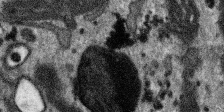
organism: Human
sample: Lung epithelial cells infected with SARS-CoV-2